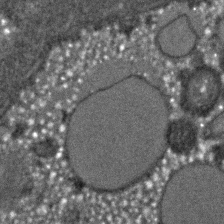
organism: C. elegans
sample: C. elegans embryo